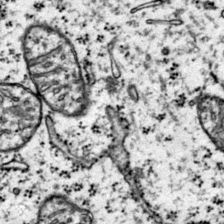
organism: Mouse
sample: Primary visual cortex